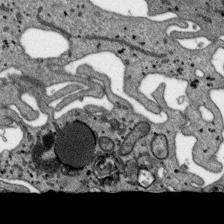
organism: Human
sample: Lung epithelial cells, uninfected (mock) control